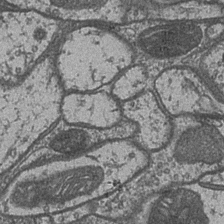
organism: Drosophila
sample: Optic medulla